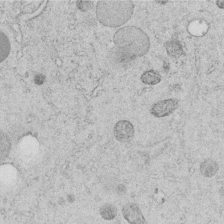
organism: C. elegans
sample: C. elegans embryo early stage